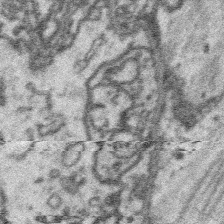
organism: Platynereis dumerilii